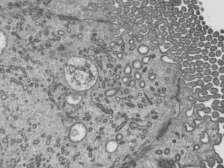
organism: Mouse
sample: Mouse epididymis efferent ductule cilia